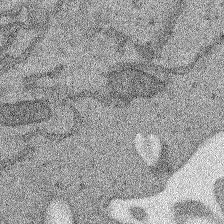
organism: Human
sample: HeLa cells